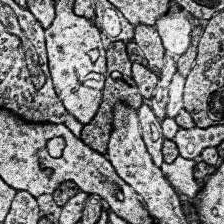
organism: Human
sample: Temporal Lobe